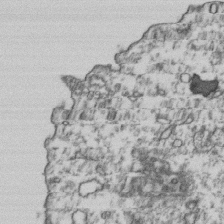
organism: Human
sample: Activated Jurkat CD4+ T cells